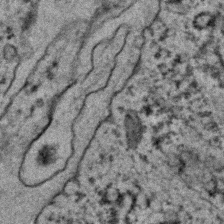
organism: C. elegans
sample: C. elegans embryo